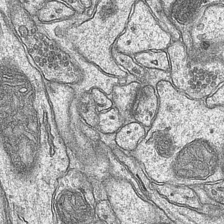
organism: Mouse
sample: CA1 Hippocampus